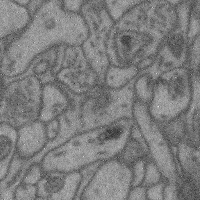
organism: Mouse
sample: Cerebral cortex